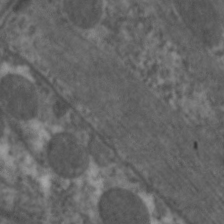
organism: C. elegans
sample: Pharynx